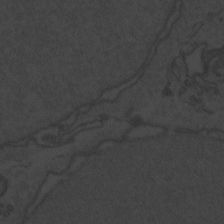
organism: Zebrafish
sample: Macrophage infected with Toxoplasma gondii